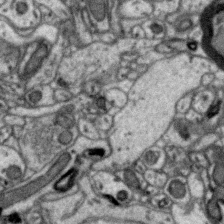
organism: Zebra finch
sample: Brain